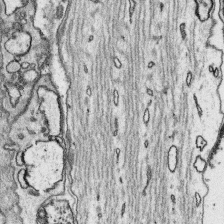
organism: Platynereis dumerilii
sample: Parapodia